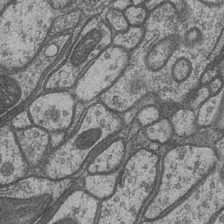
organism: Drosophila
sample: Optic medulla